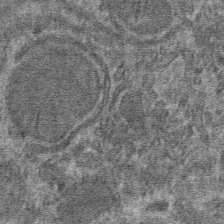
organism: Mouse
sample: Mouse hepatocytes